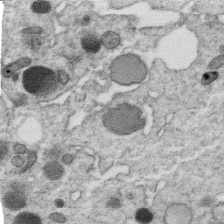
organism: C. elegans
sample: C. elegans oocyte; sperm cells